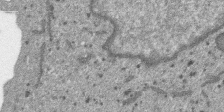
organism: Human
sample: Lung epithelial cells infected with SARS-CoV-2